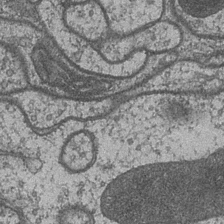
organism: Drosophila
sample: Optic medulla